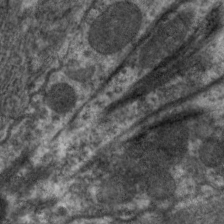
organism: C. elegans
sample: Pharynx